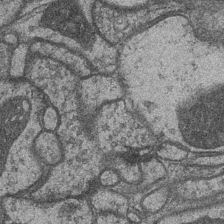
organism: Drosophila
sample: Optic medulla